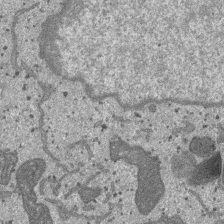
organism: Human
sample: Lung epithelial cells infected with SARS-CoV-2